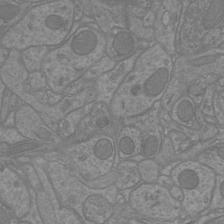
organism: Mouse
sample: Cortical neurons